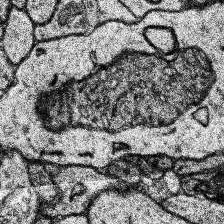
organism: Human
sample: Temporal Lobe